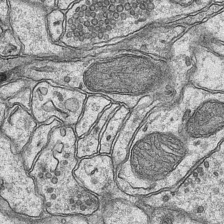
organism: Mouse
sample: CA1 Hippocampus